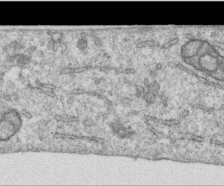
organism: Human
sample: Centriole in RPE cells